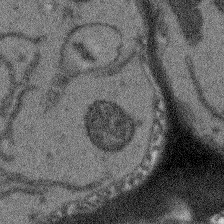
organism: Arabidopsis thaliana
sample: Root tip